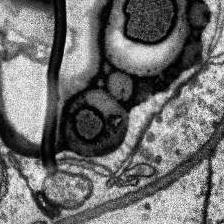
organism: Human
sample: Temporal Lobe